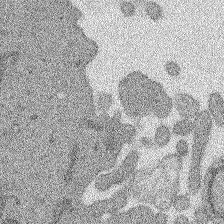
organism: Human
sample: HeLa cells